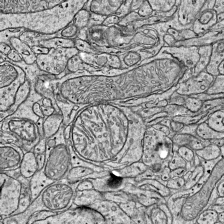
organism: Mouse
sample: Visual Cortex